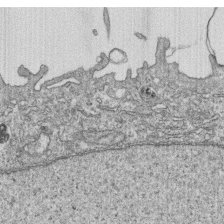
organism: Human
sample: HeLa cell HIV synapse